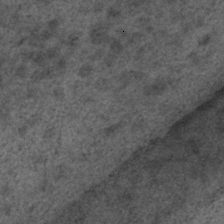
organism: C. elegans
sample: C. elegans embryo